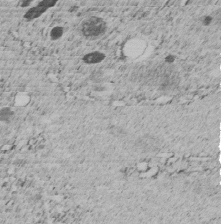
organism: C. elegans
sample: C. elegans embryo early stage